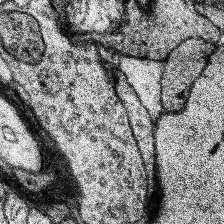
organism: Human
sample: Temporal Lobe